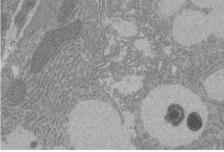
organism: Rat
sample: Salivary granule